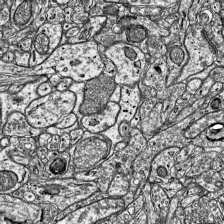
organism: Mouse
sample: Visual Cortex